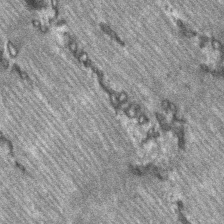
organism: C57BL Mouse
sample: Soleus